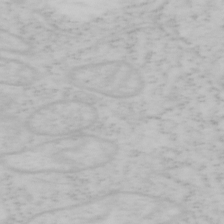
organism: Mouse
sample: OT-I killer T cells with ID8 ovarian cancer cells